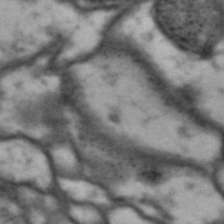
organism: Drosophila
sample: Brain